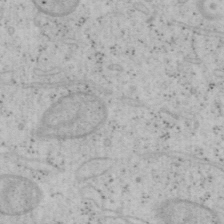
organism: Human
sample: HeLa cells